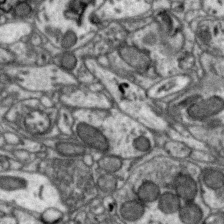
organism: Zebra finch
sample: Brain